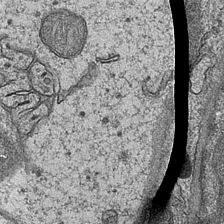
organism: Mouse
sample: CA1 Hippocampus